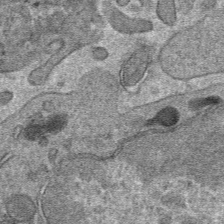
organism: Mouse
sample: Mouse hepatocytes